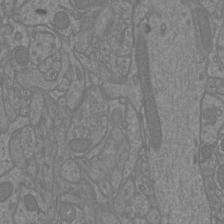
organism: Mouse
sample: Cortical neurons